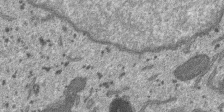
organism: Human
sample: Lung epithelial cells infected with SARS-CoV-2